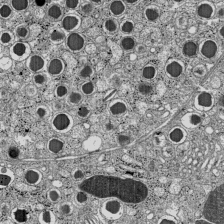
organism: C57BL Mouse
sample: Pancreatic islet